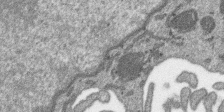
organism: Human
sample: Lung epithelial cells infected with SARS-CoV-2